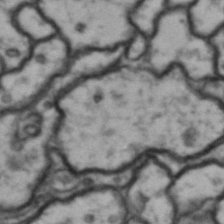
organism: Drosophila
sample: Brain